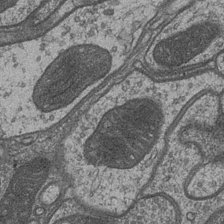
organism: Drosophila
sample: Optic medulla